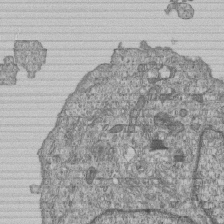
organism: Human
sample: MDA-MB-231 cells